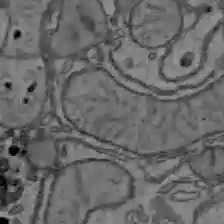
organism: C57BL Mouse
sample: Liver